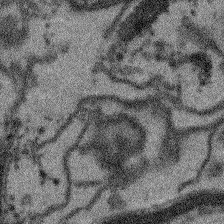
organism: Arabidopsis thaliana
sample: Root tip